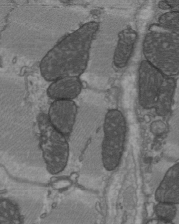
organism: C57BL Mouse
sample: Heart